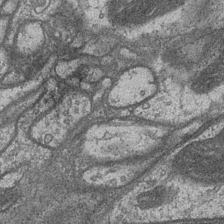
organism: Drosophila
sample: Optic medulla